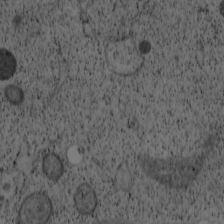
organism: African green monkey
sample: COS-7 cells